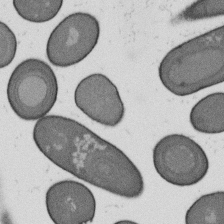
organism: B. subtilis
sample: Bacterial spore